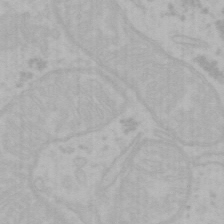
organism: Mouse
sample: Choroid plexus